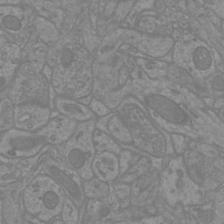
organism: Mouse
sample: Cortical neurons